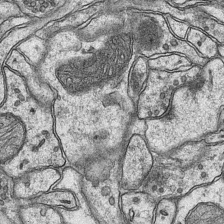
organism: Mouse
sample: CA1 Hippocampus